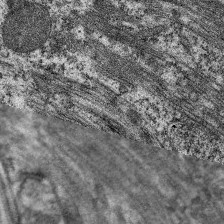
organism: C. elegans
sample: Pharynx